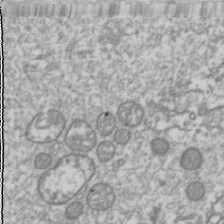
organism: Drosophila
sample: Cell division; meiosis; drosophila spermatocytes